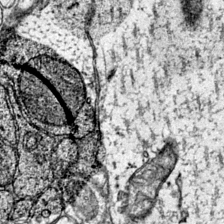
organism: Mouse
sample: Primary visual cortex